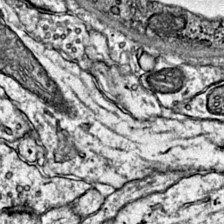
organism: Mouse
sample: Primary visual cortex